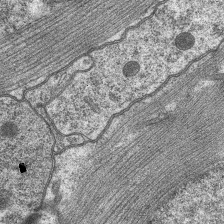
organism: C. elegans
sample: Pharynx